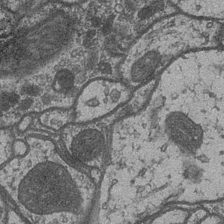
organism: Drosophila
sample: Optic medulla